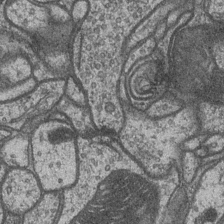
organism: Drosophila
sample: Optic medulla